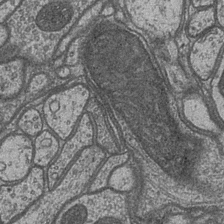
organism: Drosophila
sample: Optic medulla